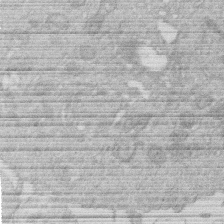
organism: Human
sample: Macrophage cells